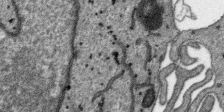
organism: Human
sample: Lung epithelial cells, uninfected (mock) control